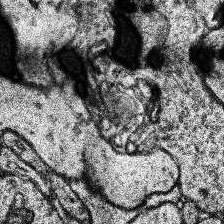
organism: Human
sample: Temporal Lobe